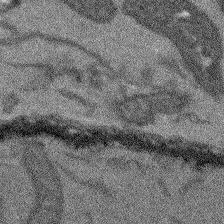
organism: Arabidopsis thaliana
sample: Root tip